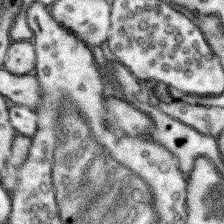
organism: Mouse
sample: Somatosensory cortex neuropil